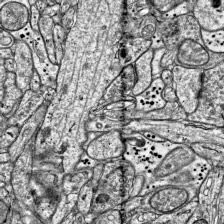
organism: Mouse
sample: Visual Cortex